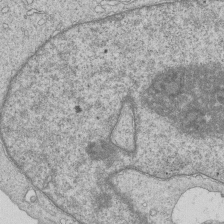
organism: Human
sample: MDA-MB-231 cells